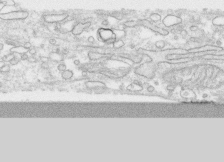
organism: Human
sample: CRL-1474